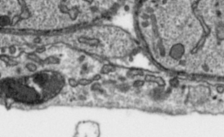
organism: Toxoplasma gondii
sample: Parasites in a vacuole inside a host cell